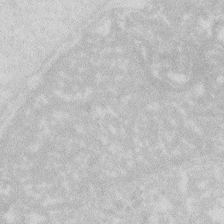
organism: Zebrafish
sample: Macrophage